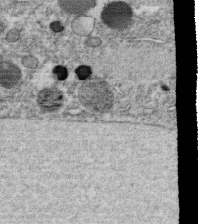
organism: C. elegans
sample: C. elegans oocyte; sperm cells